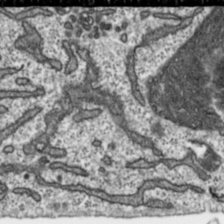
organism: Toxoplasma gondii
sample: Parasites in a vacuole inside a host cell